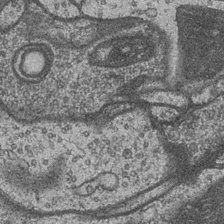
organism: Drosophila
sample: Optic medulla